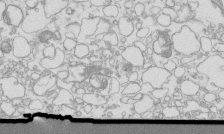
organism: Mouse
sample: Macrophages